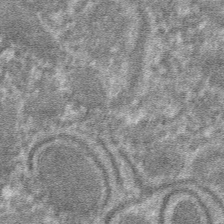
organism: Mouse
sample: Mouse hepatocytes